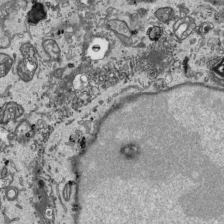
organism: Human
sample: Mitochondria in HCT116 cells